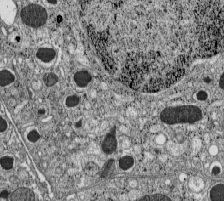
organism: C57BL Mouse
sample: Pancreatic islet